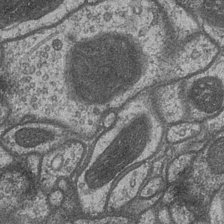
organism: Drosophila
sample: Optic medulla